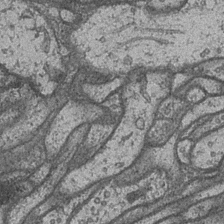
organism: Drosophila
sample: Optic medulla